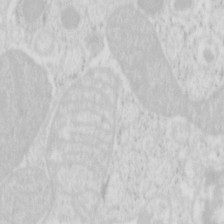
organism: Mouse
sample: Pancreas